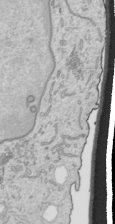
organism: Human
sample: Mitochondria in HCT116 cells